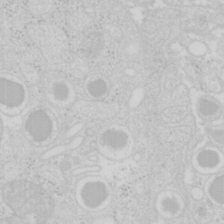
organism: Mouse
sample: Pancreas